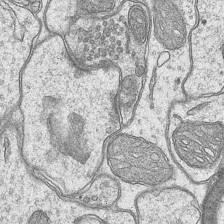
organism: Mouse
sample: CA1 Hippocampus